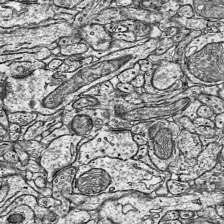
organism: Mouse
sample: Visual Cortex